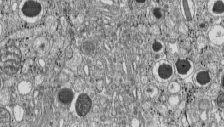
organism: C57BL Mouse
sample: Pancreatic islet